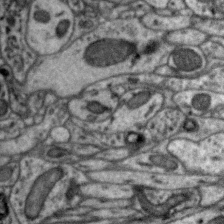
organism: Zebra finch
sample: Brain